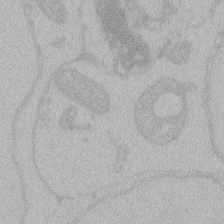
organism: Zebrafish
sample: Macrophage infected with Toxoplasma gondii